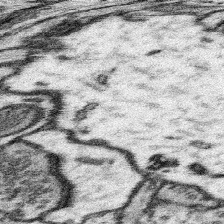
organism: Mouse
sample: Somatosensory cortex neuropil